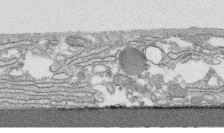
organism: Human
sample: CRL-1474